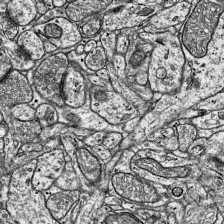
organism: Mouse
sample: Visual Cortex